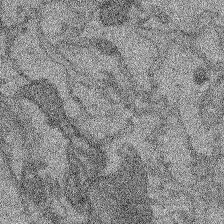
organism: Human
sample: HeLa cells